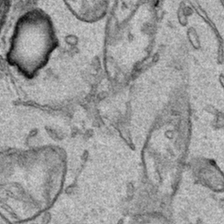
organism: Human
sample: Mitochondria in HCT116 cells